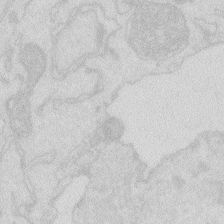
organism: Zebrafish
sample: Macrophage